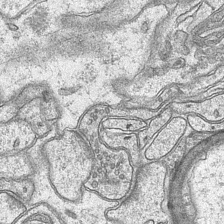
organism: Mouse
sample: CA1 Hippocampus